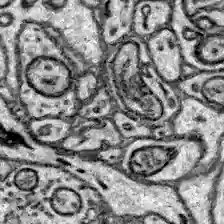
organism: Zebrafish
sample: Brain